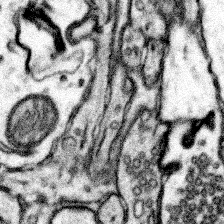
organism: Mouse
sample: Somatosensory cortex neuropil